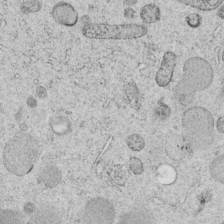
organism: C. elegans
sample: C. elegans embryo early stage